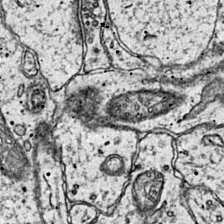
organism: Mouse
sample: Primary visual cortex